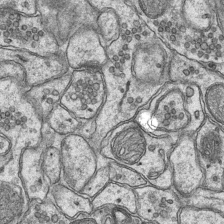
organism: Mouse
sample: CA1 Hippocampus